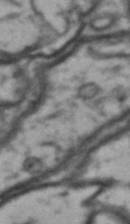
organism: Drosophila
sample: Brain